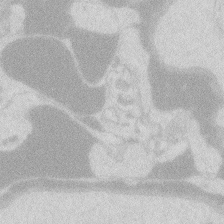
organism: Zebrafish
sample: Macrophage